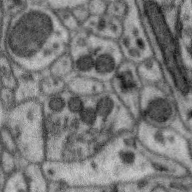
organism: Zebra finch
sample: Brain